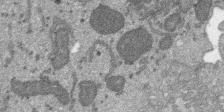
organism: Human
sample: Lung epithelial cells infected with SARS-CoV-2